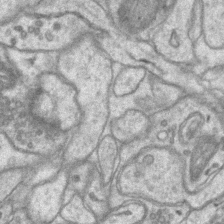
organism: Mouse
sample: CA1 Hippocampus